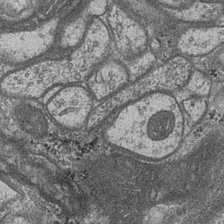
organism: Drosophila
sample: Optic medulla